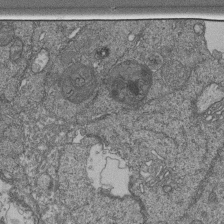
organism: Human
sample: Retinal organoid Rod and Cone cells